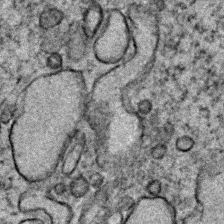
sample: Trachea